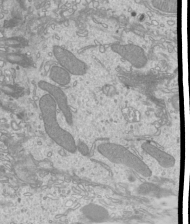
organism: Mouse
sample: Cilia; mouse epididymis